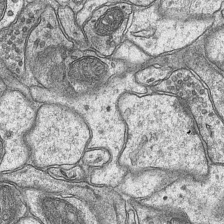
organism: Mouse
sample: CA1 Hippocampus